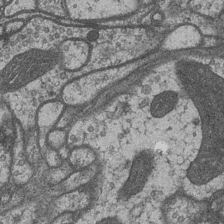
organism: Drosophila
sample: Optic medulla